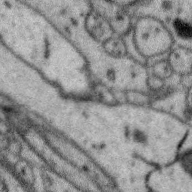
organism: Zebra finch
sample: Brain